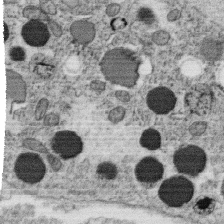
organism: C. elegans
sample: C. elegans oocyte; sperm cells